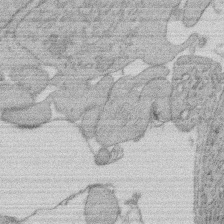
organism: Rat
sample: Salivary granule